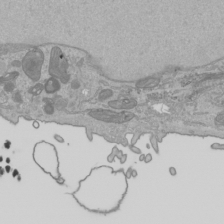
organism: Human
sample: Mitochondria in HCT116 cells